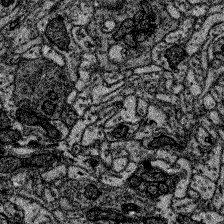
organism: Zebrafish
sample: Larval olfactory bulb